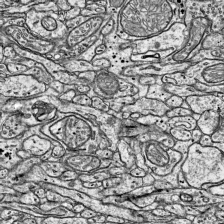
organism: Mouse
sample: Visual Cortex